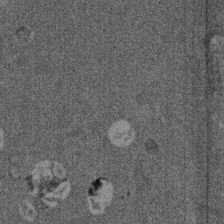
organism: Mouse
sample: Dividing mouse embryo 1 cell stage